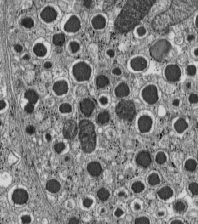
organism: C57BL Mouse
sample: Pancreatic islet